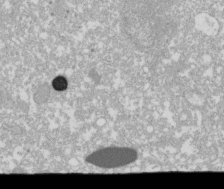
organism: Xenopus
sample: Cilia; centrioles in frog embryo cells